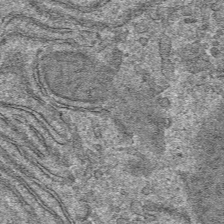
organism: Mouse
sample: Mouse hepatocytes